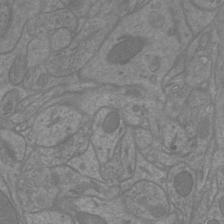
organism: Mouse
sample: Cortical neurons